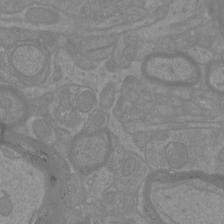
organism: Mouse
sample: Cortical neurons